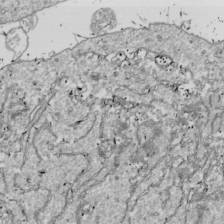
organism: Drosophila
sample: Cell division; meiosis; drosophila spermatocytes